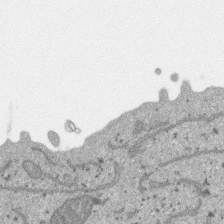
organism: Human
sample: Lung epithelial cells infected with SARS-CoV-2